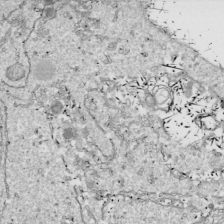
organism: Drosophila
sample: Cell division; meiosis; drosophila spermatocytes